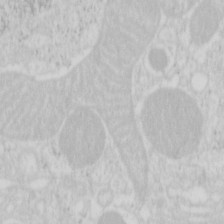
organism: Mouse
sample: Pancreas